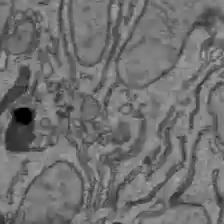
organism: C57BL Mouse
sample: Liver